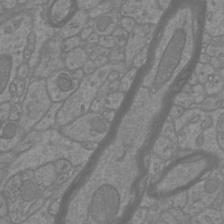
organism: Mouse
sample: Cortical neurons